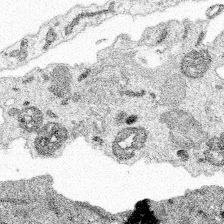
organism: Spongilla lacustris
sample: Multiple